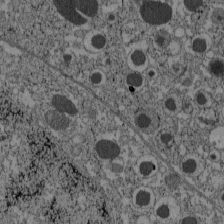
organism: C57BL Mouse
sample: Pancreatic islet